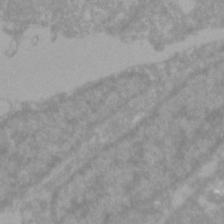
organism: Zebrafish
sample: Zebrafish embryo